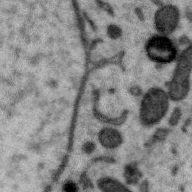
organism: Zebra finch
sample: Brain